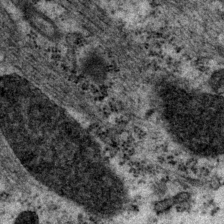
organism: P. pacificus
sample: Pharynx